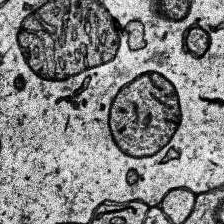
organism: Human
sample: Temporal Lobe